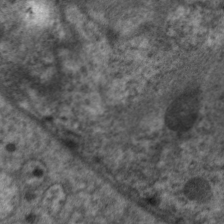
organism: C. elegans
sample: Pharynx